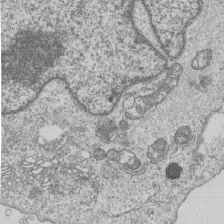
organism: Human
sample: MDA-MB-231 cells